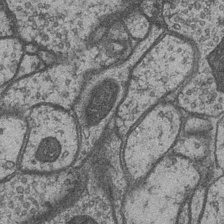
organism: Drosophila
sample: Optic medulla